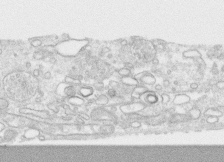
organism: Human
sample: CRL-1474